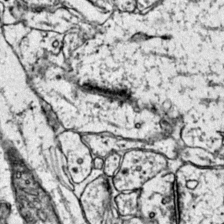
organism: Mouse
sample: Primary visual cortex